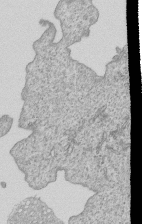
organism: Human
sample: MDA-MB-231 cells